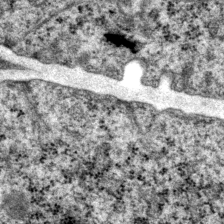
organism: P. pacificus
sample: Pharynx